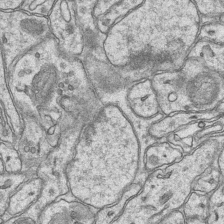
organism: Mouse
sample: CA1 Hippocampus